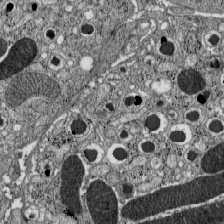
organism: C57BL Mouse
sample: Pancreatic islet